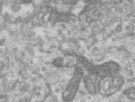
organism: Human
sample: Centriole in RPE cells